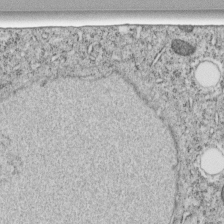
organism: C. elegans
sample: C. elegans embryo early stage